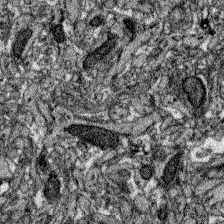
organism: Zebrafish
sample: Larval olfactory bulb